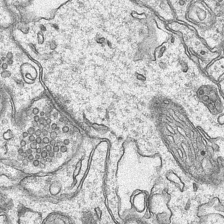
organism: Mouse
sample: CA1 Hippocampus